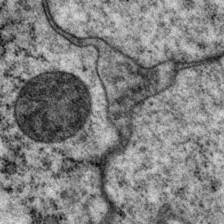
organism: P. pacificus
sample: Pharynx